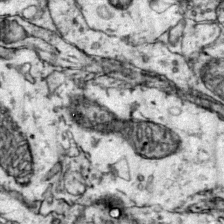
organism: Mouse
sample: Primary visual cortex